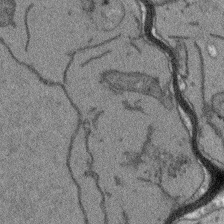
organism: Arabidopsis thaliana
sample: Root tip